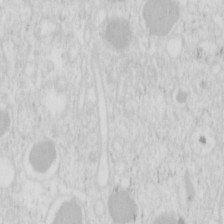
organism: Mouse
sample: Pancreas